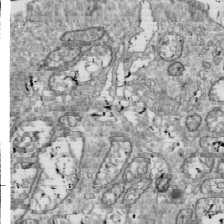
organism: Drosophila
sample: Cell division; meiosis; drosophila spermatocytes